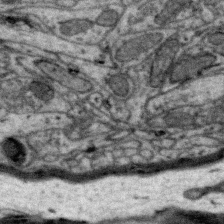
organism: Zebra finch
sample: Brain